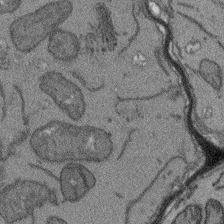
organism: Arabidopsis thaliana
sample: Root tip